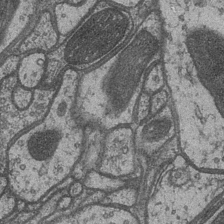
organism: Drosophila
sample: Optic medulla